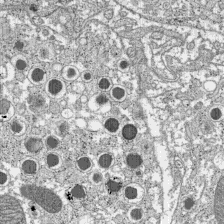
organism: C57BL Mouse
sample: Pancreatic islet